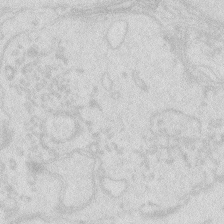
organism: Zebrafish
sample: Macrophage